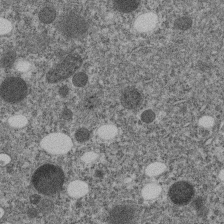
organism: C. elegans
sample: C. elegans embryo early stage